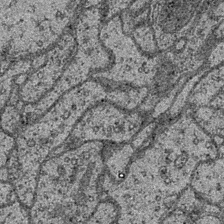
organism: Drosophila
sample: Optic medulla